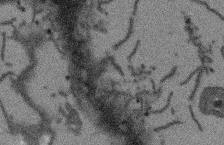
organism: Arabidopsis thaliana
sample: Root tip